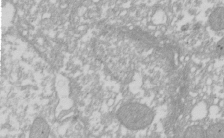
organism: Xenopus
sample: Cilia; centrioles in frog embryo cells